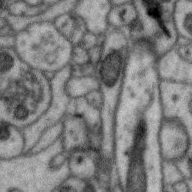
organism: Zebra finch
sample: Brain